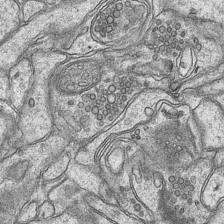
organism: Mouse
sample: CA1 Hippocampus